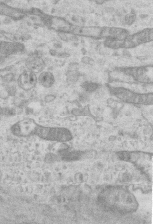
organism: Mouse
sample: Centriole in ependymal cells